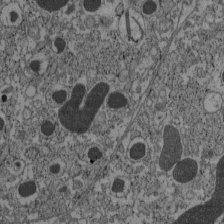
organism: C57BL Mouse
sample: Pancreatic islet